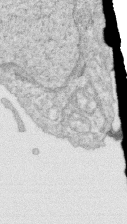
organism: Human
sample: HeLa cell HIV synapse